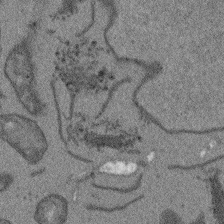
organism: Arabidopsis thaliana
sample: Root tip